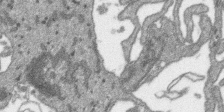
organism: Human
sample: Lung epithelial cells infected with SARS-CoV-2